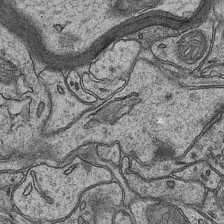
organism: Mouse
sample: CA1 Hippocampus